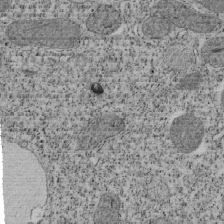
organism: Tetrahymena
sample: Cilia in tetrahymena